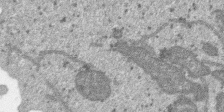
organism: Human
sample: Lung epithelial cells infected with SARS-CoV-2